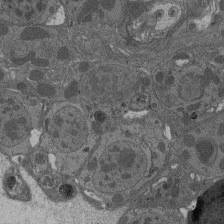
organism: Drosophila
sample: Antenna